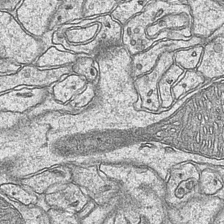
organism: Mouse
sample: CA1 Hippocampus